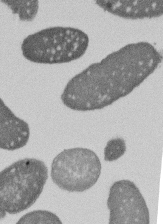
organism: E. coli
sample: Bacterial nucleoid